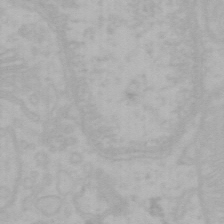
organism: Mouse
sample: Choroid plexus